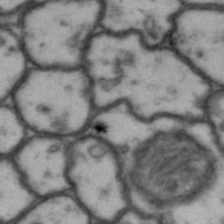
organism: Drosophila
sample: Brain